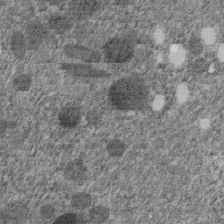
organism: C. elegans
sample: C. elegans embryo early stage